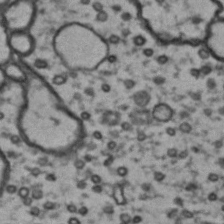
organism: Drosophila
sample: Brain